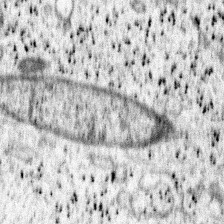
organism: Human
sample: HeLa cells